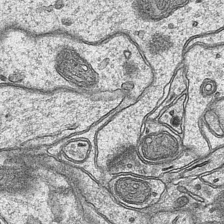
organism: Mouse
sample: CA1 Hippocampus